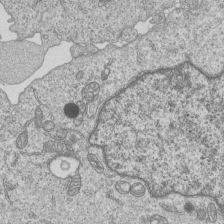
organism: Human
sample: MDA-MB-231 cells